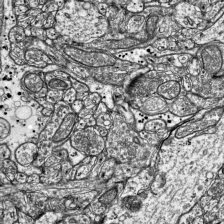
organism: Mouse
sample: Visual Cortex